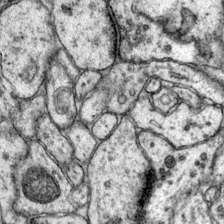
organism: Mouse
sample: Primary visual cortex